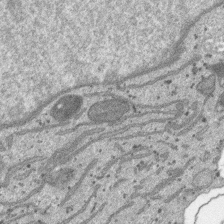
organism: Human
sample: Lung epithelial cells infected with SARS-CoV-2